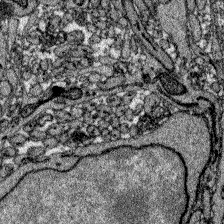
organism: Zebrafish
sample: Larval olfactory bulb